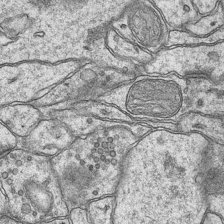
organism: Mouse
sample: CA1 Hippocampus